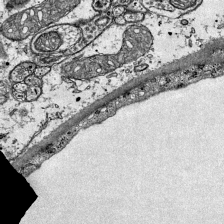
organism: Mouse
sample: Visual Cortex